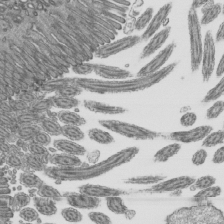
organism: Mouse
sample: Mouse epididymis efferent ductule cilia